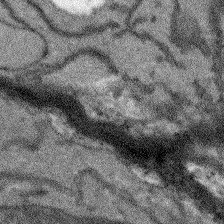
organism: Arabidopsis thaliana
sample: Root tip